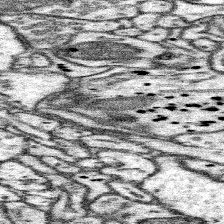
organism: Mouse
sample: Somatosensory cortex neuropil